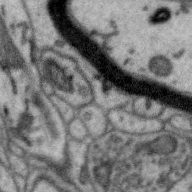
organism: Zebra finch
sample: Brain